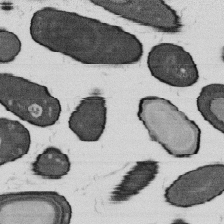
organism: B. subtilis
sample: Bacterial spore